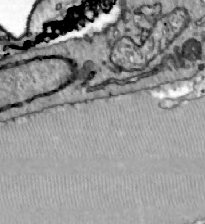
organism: Zebrafish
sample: Actinotrichia fibers